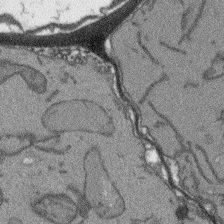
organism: Arabidopsis thaliana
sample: Root tip